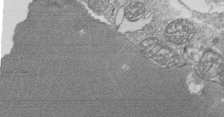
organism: Tetrahymena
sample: Cilia in tetrahymena